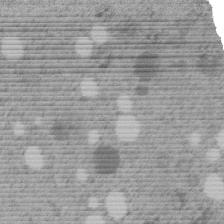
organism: C. elegans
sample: C. elegans embryo early stage